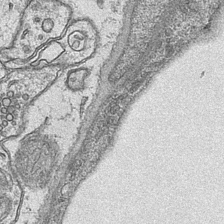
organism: Mouse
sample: CA1 Hippocampus